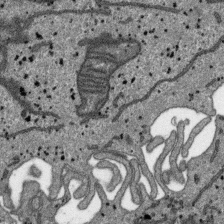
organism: Human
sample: Lung epithelial cells, uninfected (mock) control